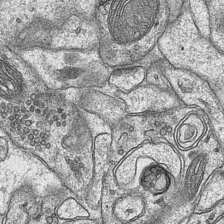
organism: Mouse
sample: CA1 Hippocampus